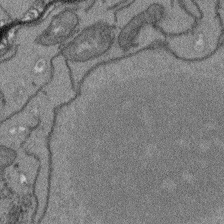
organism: Arabidopsis thaliana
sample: Root tip